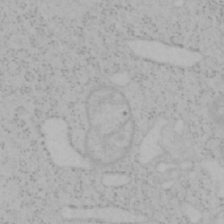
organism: Mouse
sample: OT-I killer T cells with ID8 ovarian cancer cells